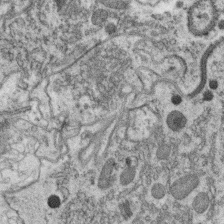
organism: C. elegans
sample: C. elegans oocyte; sperm cells